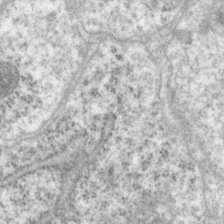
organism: P. pacificus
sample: Pharynx